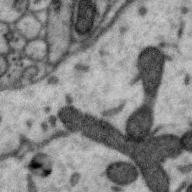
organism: Zebra finch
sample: Brain